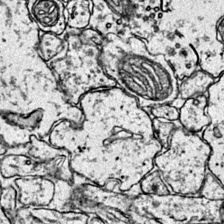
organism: Mouse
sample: Primary visual cortex